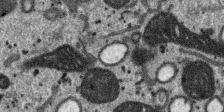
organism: Human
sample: Lung epithelial cells infected with SARS-CoV-2